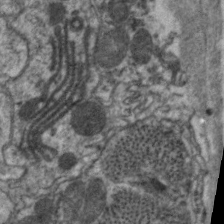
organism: C. elegans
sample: Pharynx